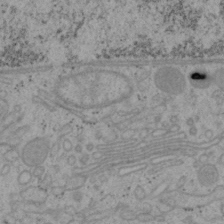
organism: Human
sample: HeLa cells